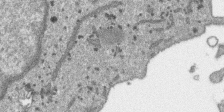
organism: Human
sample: Lung epithelial cells infected with SARS-CoV-2